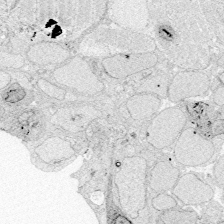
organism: Zebrafish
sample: Whole-Brain